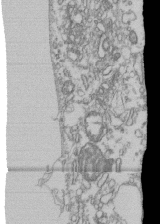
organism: Human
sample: Fibroblast cells